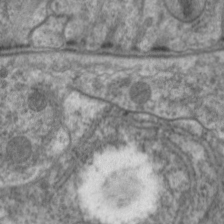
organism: C. elegans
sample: Pharynx